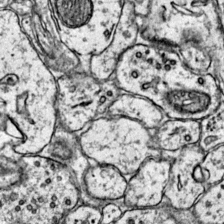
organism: Mouse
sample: Primary visual cortex